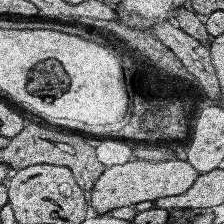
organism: Human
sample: Temporal Lobe